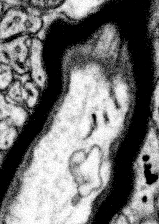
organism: Mouse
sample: Somatosensory cortex neuropil